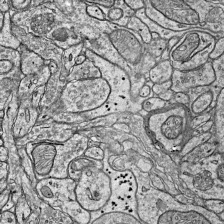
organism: Mouse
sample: Visual Cortex